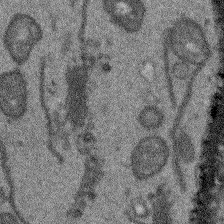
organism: Arabidopsis thaliana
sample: Root tip